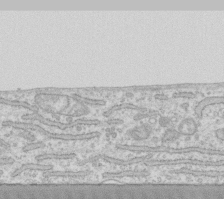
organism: Human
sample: Fibroblast cells